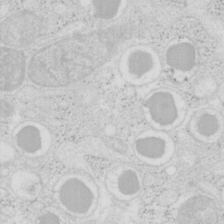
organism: Mouse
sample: Pancreas